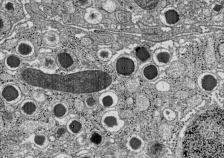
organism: C57BL Mouse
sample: Pancreatic islet